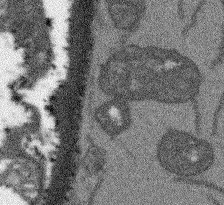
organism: Arabidopsis thaliana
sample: Root tip